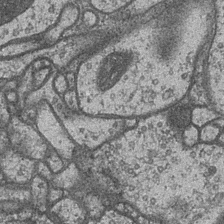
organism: Drosophila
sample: Optic medulla